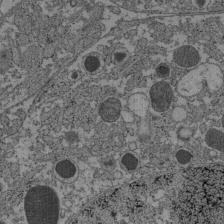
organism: C57BL Mouse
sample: Pancreatic islet